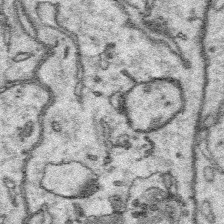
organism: Platynereis dumerilii